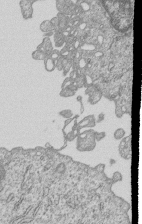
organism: Human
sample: MDA-MB-231 cells